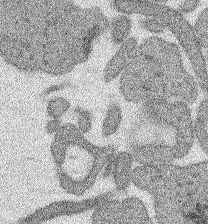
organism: Human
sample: HeLa cells